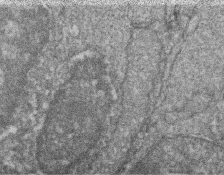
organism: Zebrafish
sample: Cilia; retinal pigment epithelium